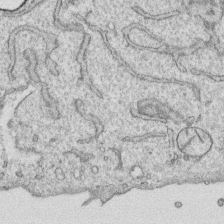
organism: Human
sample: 1205lu cells